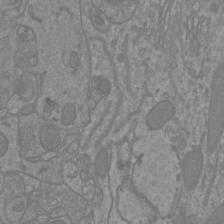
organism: Mouse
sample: Cortical neurons